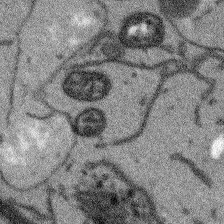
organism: Arabidopsis thaliana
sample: Root tip